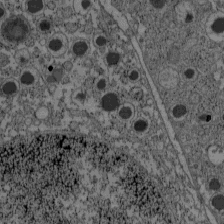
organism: C57BL Mouse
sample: Pancreatic islet